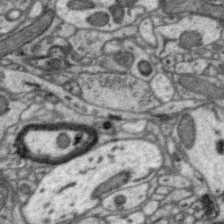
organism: Zebra finch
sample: Brain